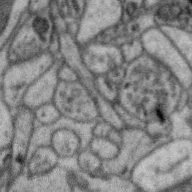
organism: Zebra finch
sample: Brain